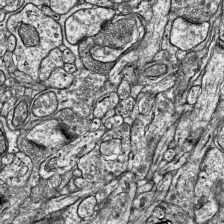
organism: Mouse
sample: Visual Cortex